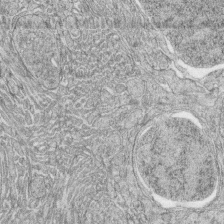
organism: Zebrafish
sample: synaptic ribbons in rod cells and cone cells